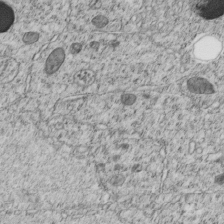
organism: C. elegans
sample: C. elegans embryo early stage